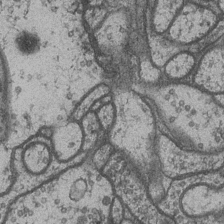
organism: Drosophila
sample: Optic medulla